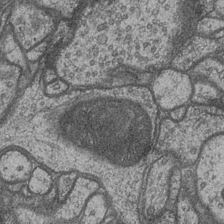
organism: Drosophila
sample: Optic medulla